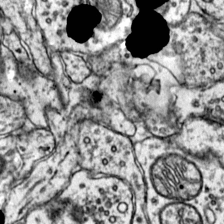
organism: Mouse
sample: Primary visual cortex